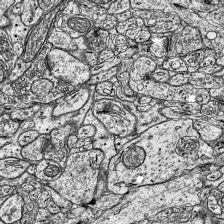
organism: Mouse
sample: Visual Cortex